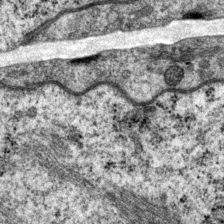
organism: P. pacificus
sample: Pharynx